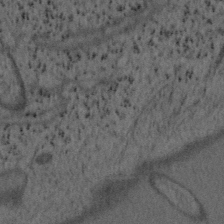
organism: Human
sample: HeLa cells